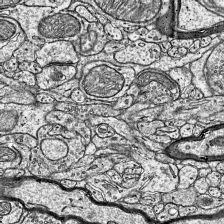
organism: Mouse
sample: Visual Cortex